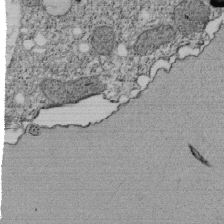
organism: Tetrahymena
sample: Cilia in tetrahymena